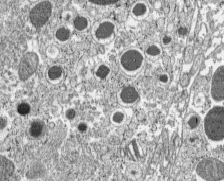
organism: C57BL Mouse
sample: Pancreatic islet